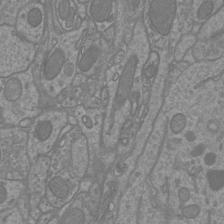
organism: Mouse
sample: Cortical neurons